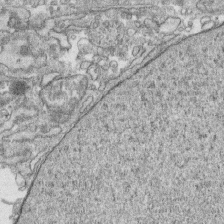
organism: Human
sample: CRL-1474